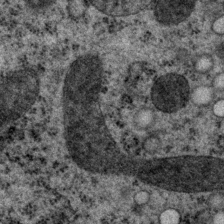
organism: P. pacificus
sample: Pharynx